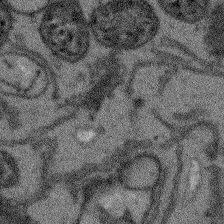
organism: Arabidopsis thaliana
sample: Root tip